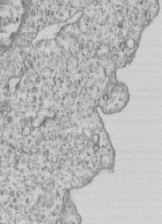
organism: Human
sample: MDA-MB-231 cells